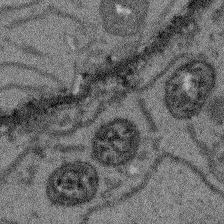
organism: Arabidopsis thaliana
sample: Root tip